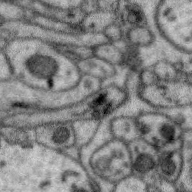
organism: Zebra finch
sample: Brain